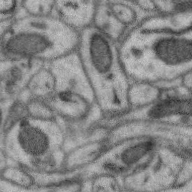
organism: Zebra finch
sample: Brain